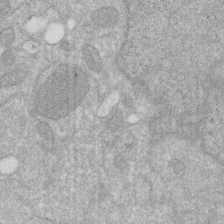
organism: Human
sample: HIV infected U937 cells